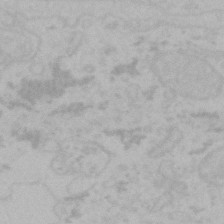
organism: Mouse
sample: Choroid plexus